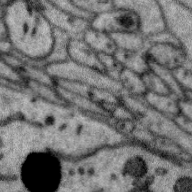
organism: Zebra finch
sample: Brain